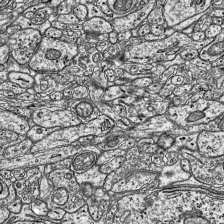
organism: Mouse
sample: Visual Cortex